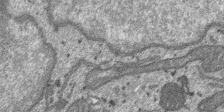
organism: Human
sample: Lung epithelial cells infected with SARS-CoV-2